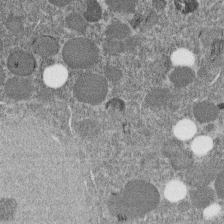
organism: C. elegans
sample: C. elegans embryo early stage